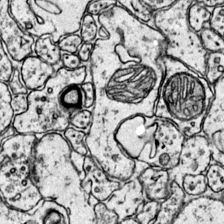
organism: Mouse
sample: Primary visual cortex